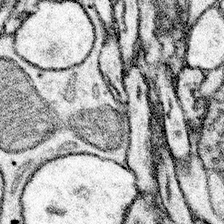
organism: Mouse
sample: Somatosensory cortex neuropil